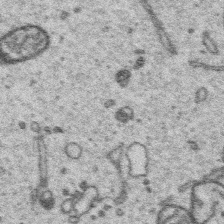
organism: Platynereis dumerilii